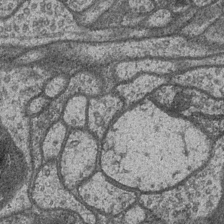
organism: Drosophila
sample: Optic medulla